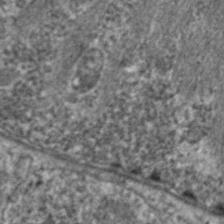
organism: C. elegans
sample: Pharynx